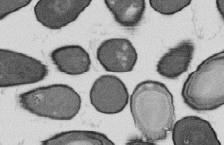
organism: B. subtilis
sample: Bacterial spore